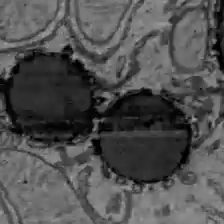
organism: C57BL Mouse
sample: Liver